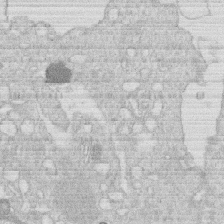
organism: Human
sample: Macrophage cells